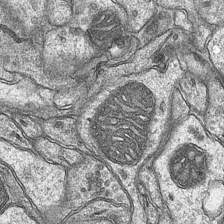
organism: Mouse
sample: CA1 Hippocampus